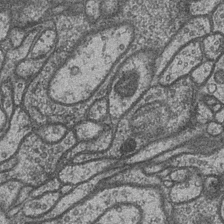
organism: Drosophila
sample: Optic medulla